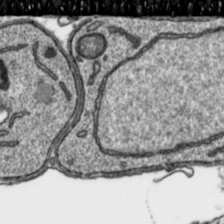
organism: Toxoplasma gondii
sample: Parasites in a vacuole inside a host cell